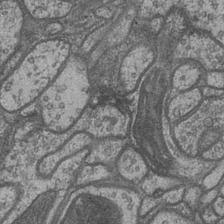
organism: Drosophila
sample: Optic medulla